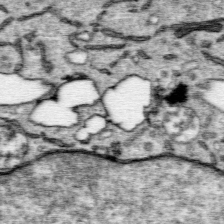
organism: Human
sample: HeLa cells